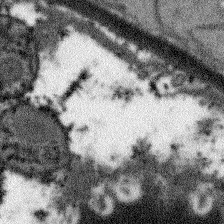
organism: Arabidopsis thaliana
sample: Root tip